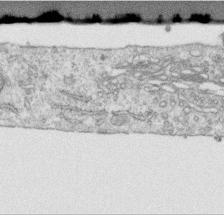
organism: Human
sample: Centriole in RPE cells